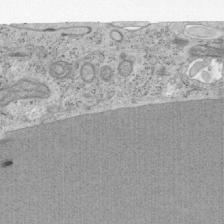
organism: Human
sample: HeLa cells